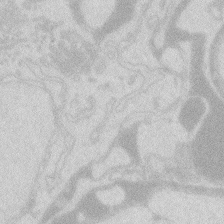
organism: Zebrafish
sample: Macrophage